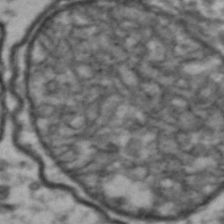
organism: Drosophila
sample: Brain